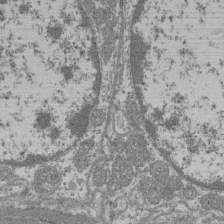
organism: Mouse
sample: Glomerulus